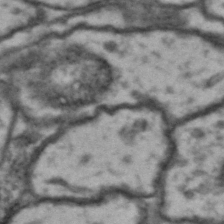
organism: Drosophila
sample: Brain